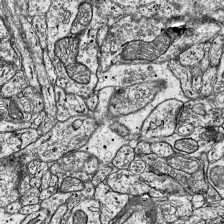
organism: Mouse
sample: Visual Cortex